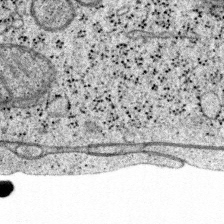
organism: Human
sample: HeLa cells